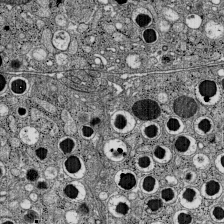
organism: C57BL Mouse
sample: Pancreatic islet